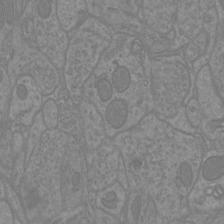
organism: Mouse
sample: Cortical neurons